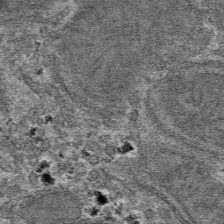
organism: Mouse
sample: Mouse hepatocytes